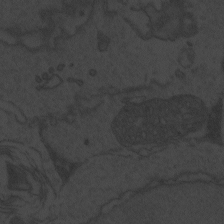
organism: Zebrafish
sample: Macrophage infected with Toxoplasma gondii